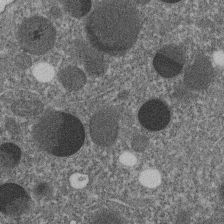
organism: C. elegans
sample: C. elegans embryo early stage